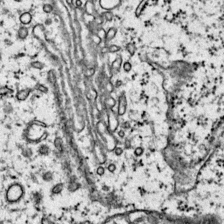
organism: Mouse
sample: Primary visual cortex